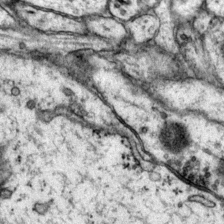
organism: Mouse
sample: Primary visual cortex